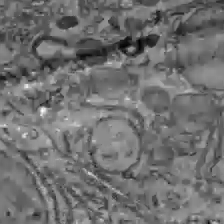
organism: C57BL Mouse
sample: Liver